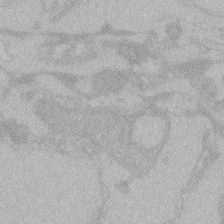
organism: Zebrafish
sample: Macrophage infected with Toxoplasma gondii